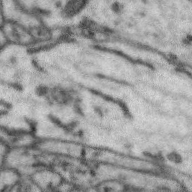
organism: Zebra finch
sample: Brain